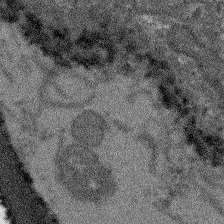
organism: Arabidopsis thaliana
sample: Root tip